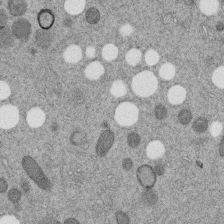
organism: C. elegans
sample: C. elegans embryo early stage